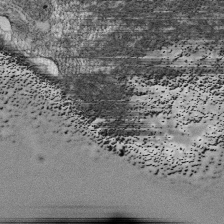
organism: Tetrahymena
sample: Cilia in tetrahymena